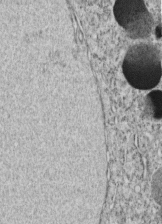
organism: C. elegans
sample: C. elegans embryo early stage